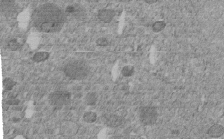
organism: C. elegans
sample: C. elegans embryo early stage